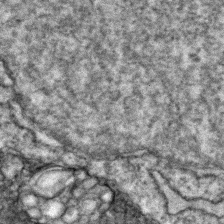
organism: Zebrafish